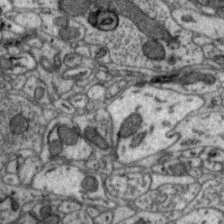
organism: Zebra finch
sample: Brain